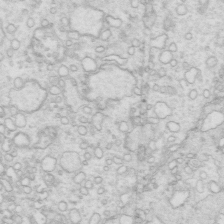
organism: Mouse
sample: Multiciliated cells